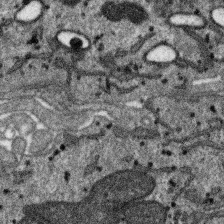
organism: Human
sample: Lung epithelial cells infected with SARS-CoV-2